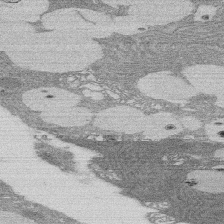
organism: Rat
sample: Salivary granule